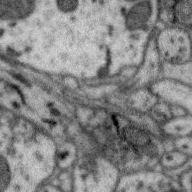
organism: Zebra finch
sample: Brain